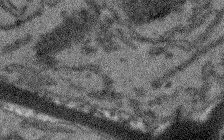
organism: Arabidopsis thaliana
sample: Root tip